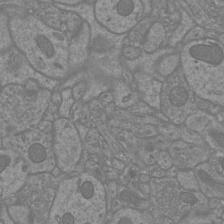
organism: Mouse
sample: Cortical neurons